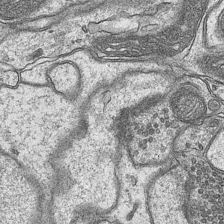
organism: Mouse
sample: CA1 Hippocampus